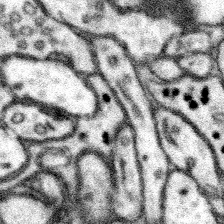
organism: Mouse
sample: Somatosensory cortex neuropil